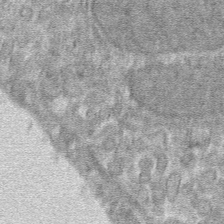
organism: Mouse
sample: Mouse hepatocytes